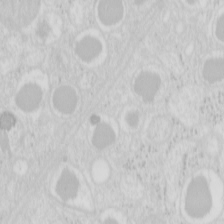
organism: Mouse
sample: Pancreas